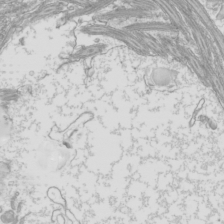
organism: Mouse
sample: Cilia; mouse epididymis